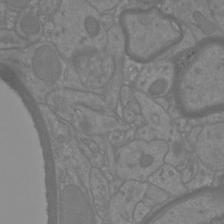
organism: Mouse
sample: Cortical neurons